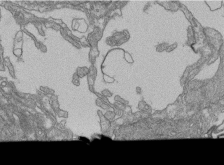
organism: Human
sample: Retinal organoid Rod and Cone cells